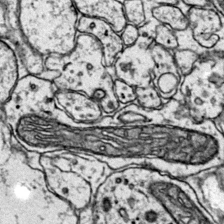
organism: Mouse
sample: Primary visual cortex